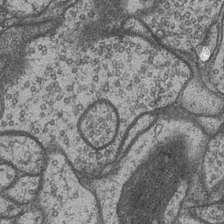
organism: Drosophila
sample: Optic medulla